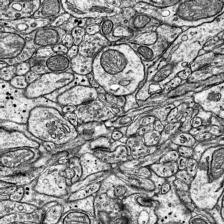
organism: Mouse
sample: Visual Cortex